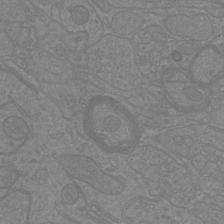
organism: Mouse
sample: Cortical neurons